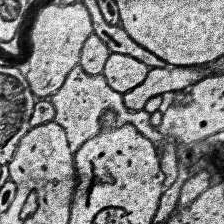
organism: Human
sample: Temporal Lobe